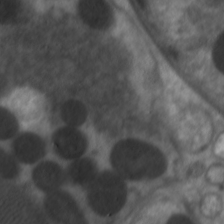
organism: C. elegans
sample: Pharynx